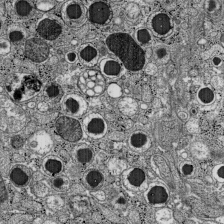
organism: C57BL Mouse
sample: Pancreatic islet